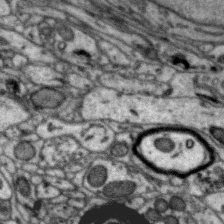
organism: Zebra finch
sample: Brain